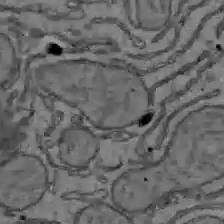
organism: C57BL Mouse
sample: Liver